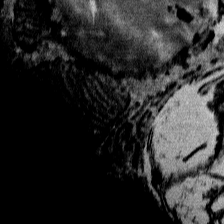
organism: Mouse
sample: Mouse Salivary gland